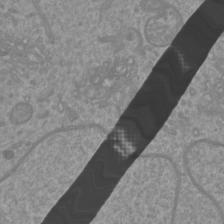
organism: Mouse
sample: Cortical neurons